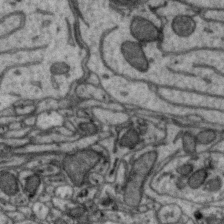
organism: Zebra finch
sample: Brain